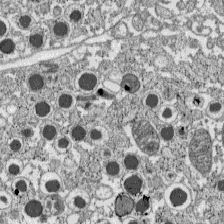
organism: C57BL Mouse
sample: Pancreatic islet